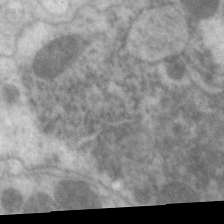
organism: C. elegans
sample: Pharynx